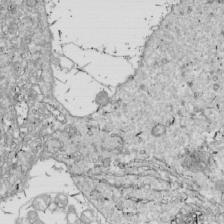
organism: Drosophila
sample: Cell division; meiosis; drosophila spermatocytes